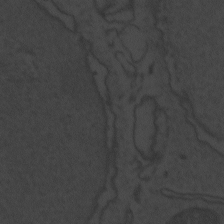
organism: Zebrafish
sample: Macrophage infected with Toxoplasma gondii